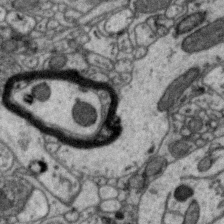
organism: Zebra finch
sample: Brain